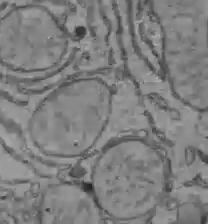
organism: C57BL Mouse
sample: Liver